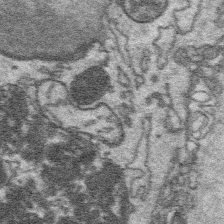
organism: Platynereis dumerilii